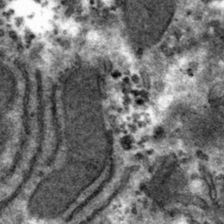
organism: Mouse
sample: Mouse hepatocytes